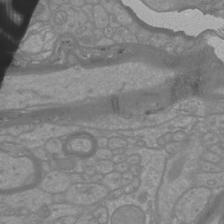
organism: Mouse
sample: Cortical neurons